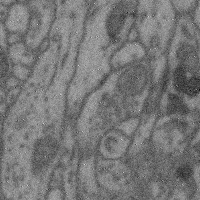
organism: Mouse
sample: Cerebral cortex